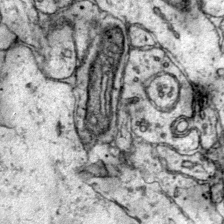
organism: Mouse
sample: Primary visual cortex